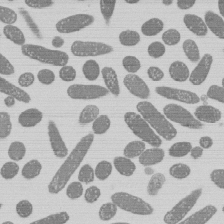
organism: E. coli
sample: Bacterial nucleoid